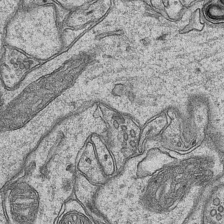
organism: Mouse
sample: CA1 Hippocampus